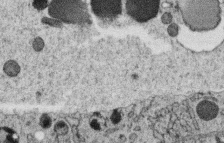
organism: C. elegans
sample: C. elegans oocyte; sperm cells